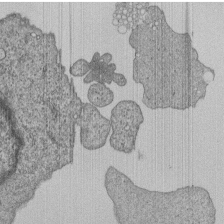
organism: Human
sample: MDA-MB-231 cells